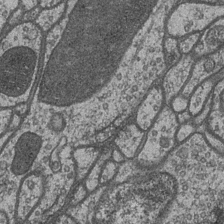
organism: Drosophila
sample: Optic medulla